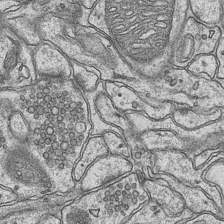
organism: Mouse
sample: CA1 Hippocampus